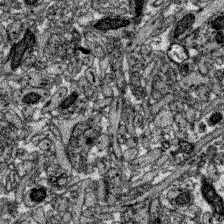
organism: Zebrafish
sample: Larval olfactory bulb